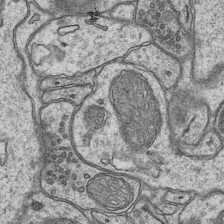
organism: Mouse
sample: CA1 Hippocampus